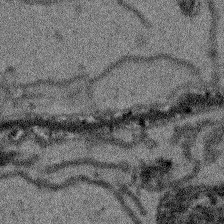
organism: Arabidopsis thaliana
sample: Root tip